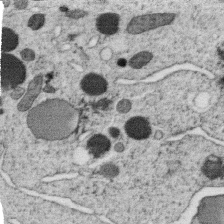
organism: C. elegans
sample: C. elegans oocyte; sperm cells